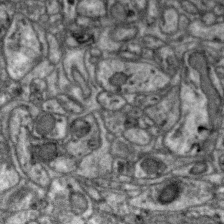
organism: Zebra finch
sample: Brain